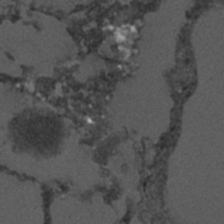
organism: C. elegans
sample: C. elegans embryo